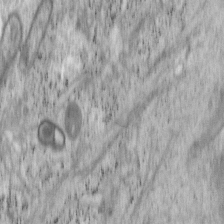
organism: Human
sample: HeLa cells